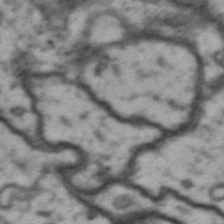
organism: Drosophila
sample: Brain